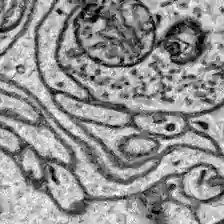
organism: Zebrafish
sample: Brain